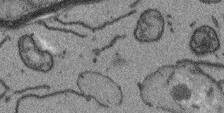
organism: Arabidopsis thaliana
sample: Root tip